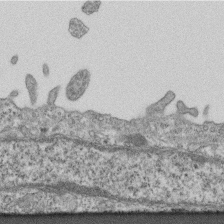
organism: Mouse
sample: Centriole in ependymal cells